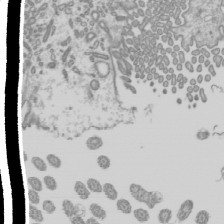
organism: Mouse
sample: Cilia; mouse epididymis